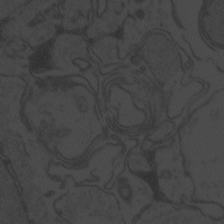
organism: Zebrafish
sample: Macrophage infected with Toxoplasma gondii